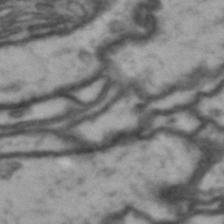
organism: Drosophila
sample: Brain